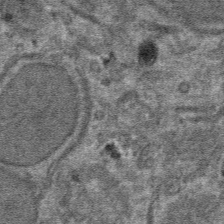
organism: Mouse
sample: Mouse hepatocytes